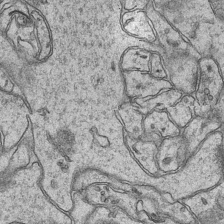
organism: Mouse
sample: CA1 Hippocampus